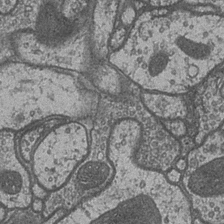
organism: Drosophila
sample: Optic medulla